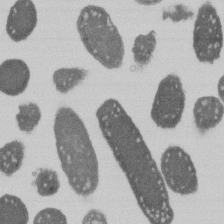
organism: E. coli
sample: Bacterial nucleoid